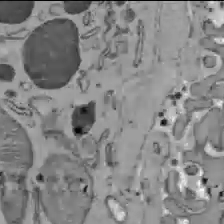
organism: C57BL Mouse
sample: Liver